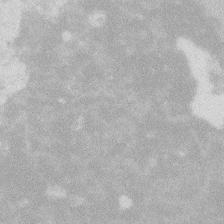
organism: Zebrafish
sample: Macrophage